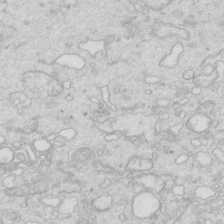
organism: Mouse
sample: Multiciliated cells